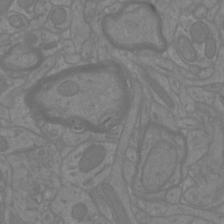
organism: Mouse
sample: Cortical neurons